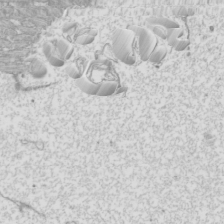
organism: Mouse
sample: Cilia; mouse epididymis